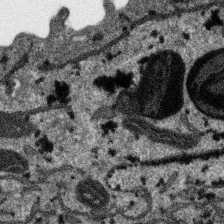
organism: Human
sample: Lung epithelial cells infected with SARS-CoV-2